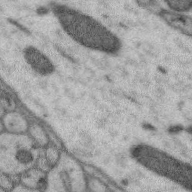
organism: Zebra finch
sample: Brain